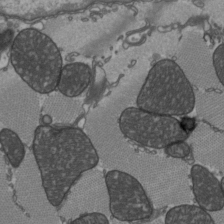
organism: C57BL Mouse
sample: Heart